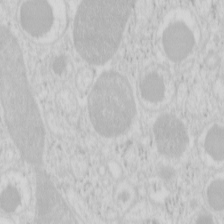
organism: Mouse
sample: Pancreas